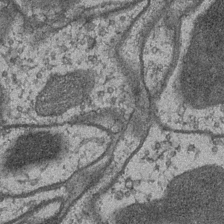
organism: Drosophila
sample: Optic medulla